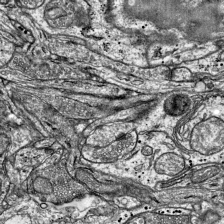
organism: Mouse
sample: Visual Cortex